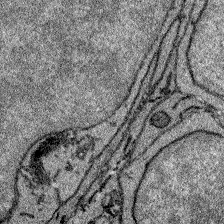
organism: Zebrafish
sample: Larval olfactory bulb